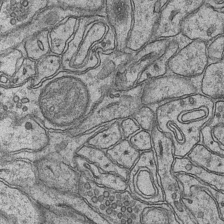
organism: Mouse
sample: CA1 Hippocampus